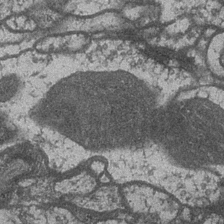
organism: Drosophila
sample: Optic medulla